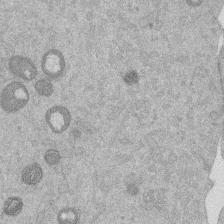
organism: Mouse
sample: Dividing mouse embryo 1 cell stage